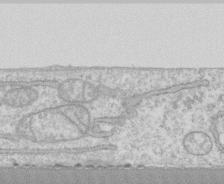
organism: Human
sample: CRL-1474